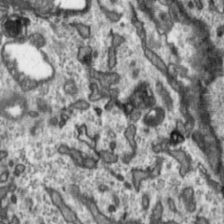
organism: Toxoplasma gondii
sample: Parasites in a vacuole inside a host cell